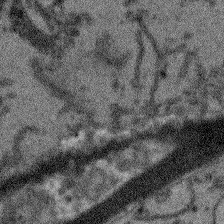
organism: Arabidopsis thaliana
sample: Root tip